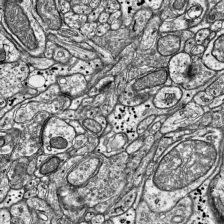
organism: Mouse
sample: Visual Cortex